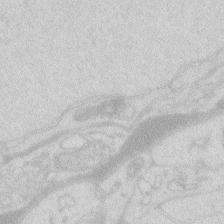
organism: Zebrafish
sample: Macrophage